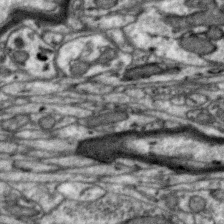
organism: Zebra finch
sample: Brain